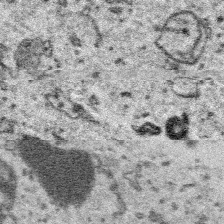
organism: Platynereis dumerilii